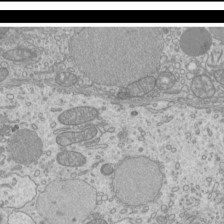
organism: Mouse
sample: Cilia; mouse epididymis